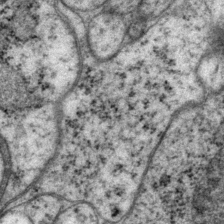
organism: P. pacificus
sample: Pharynx